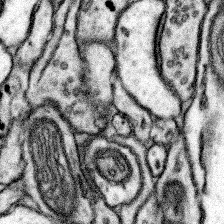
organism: Mouse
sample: Somatosensory cortex neuropil